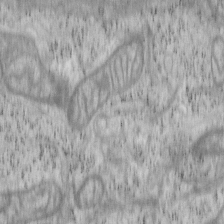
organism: Human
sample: HeLa cells